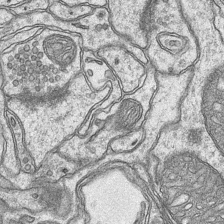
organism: Mouse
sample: CA1 Hippocampus